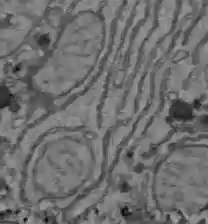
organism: C57BL Mouse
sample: Liver